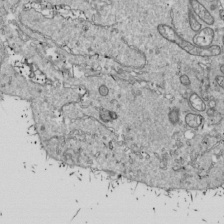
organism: Drosophila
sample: Cell division; meiosis; drosophila spermatocytes